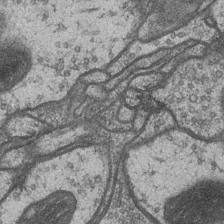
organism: Drosophila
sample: Optic medulla